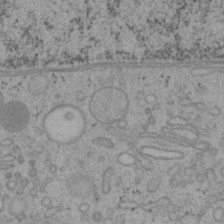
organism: Human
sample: HeLa cells